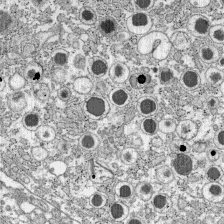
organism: C57BL Mouse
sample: Pancreatic islet